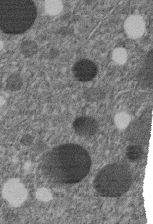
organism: C. elegans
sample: C. elegans embryo early stage